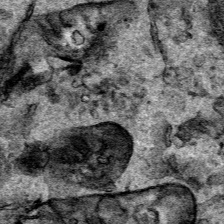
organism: Human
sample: Mitochondria in HCT116 cells